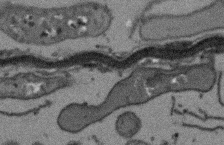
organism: Arabidopsis thaliana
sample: Root tip